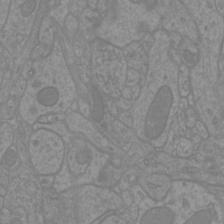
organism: Mouse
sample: Cortical neurons